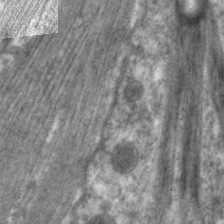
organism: C. elegans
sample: Pharynx